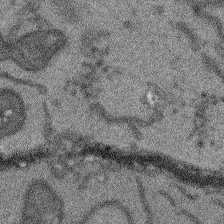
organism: Arabidopsis thaliana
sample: Root tip